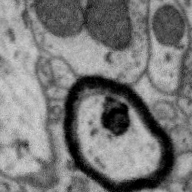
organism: Zebra finch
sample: Brain